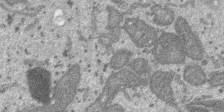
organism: Human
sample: Lung epithelial cells infected with SARS-CoV-2